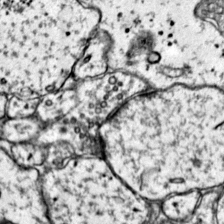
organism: Mouse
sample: Primary visual cortex